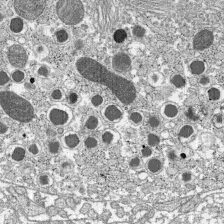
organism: C57BL Mouse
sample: Pancreatic islet